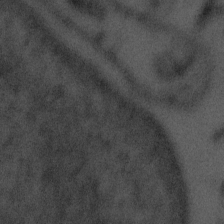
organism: Tuwongella immobilis